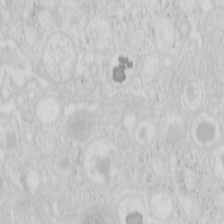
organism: Mouse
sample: Pancreas